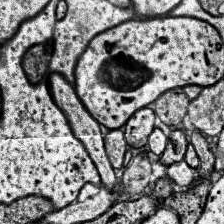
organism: Human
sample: Temporal Lobe